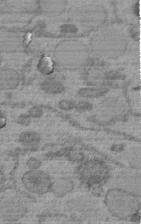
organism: C. elegans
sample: C. elegans embryo early stage